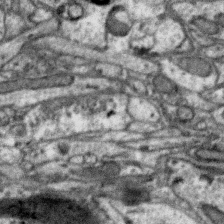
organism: Zebra finch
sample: Brain